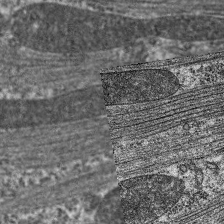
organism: C. elegans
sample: Pharynx